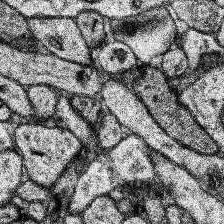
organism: Human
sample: Temporal Lobe